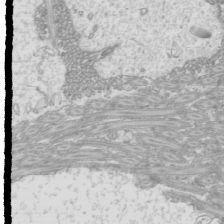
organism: Mouse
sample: Cilia; mouse epididymis